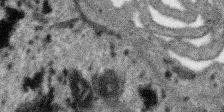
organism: Human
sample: Lung epithelial cells infected with SARS-CoV-2